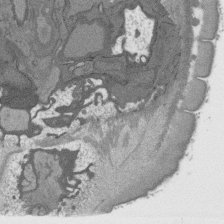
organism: C. elegans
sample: AFD neurons C. elegans